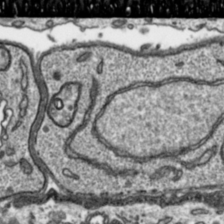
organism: Toxoplasma gondii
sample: Parasites in a vacuole inside a host cell